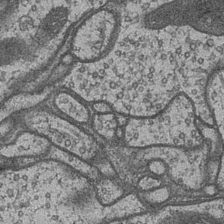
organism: Drosophila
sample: Optic medulla